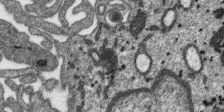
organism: Human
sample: Lung epithelial cells infected with SARS-CoV-2